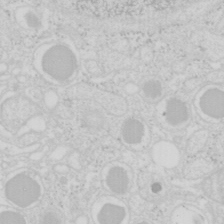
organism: Mouse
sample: Pancreas